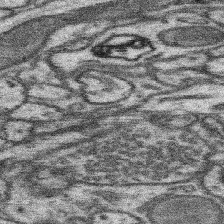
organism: Mouse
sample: Somatosensory cortex neuropil